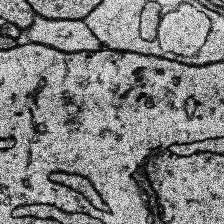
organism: Human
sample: Temporal Lobe